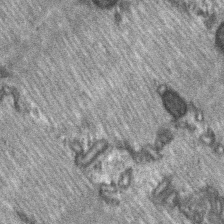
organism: C57BL Mouse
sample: Soleus